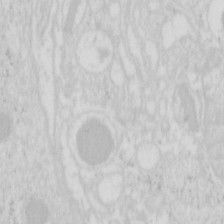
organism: Mouse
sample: Pancreas